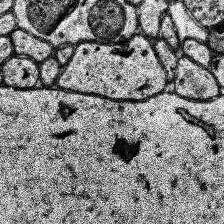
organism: Human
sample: Temporal Lobe